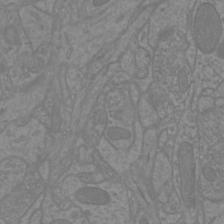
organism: Mouse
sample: Cortical neurons